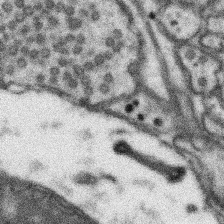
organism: Mouse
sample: Somatosensory cortex neuropil